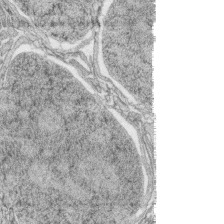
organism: Zebrafish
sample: synaptic ribbons in rod cells and cone cells